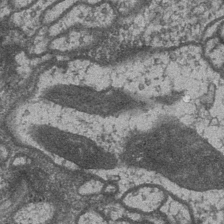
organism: Drosophila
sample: Optic medulla